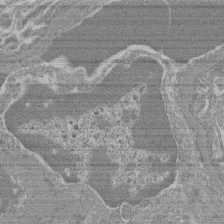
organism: Mouse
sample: Glomerulus